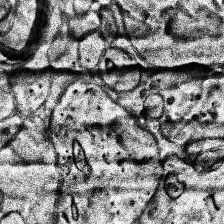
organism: Human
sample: Temporal Lobe